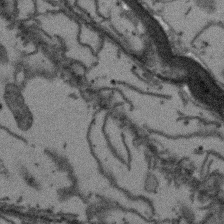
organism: Arabidopsis thaliana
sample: Root tip